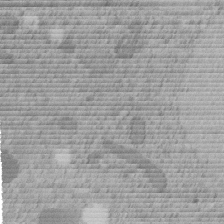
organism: C. elegans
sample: C. elegans embryo early stage